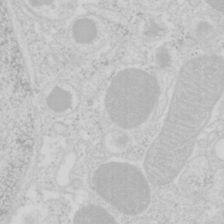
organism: Mouse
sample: Pancreas